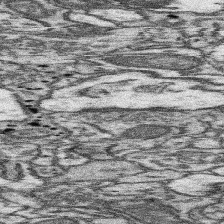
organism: Mouse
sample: Somatosensory cortex neuropil